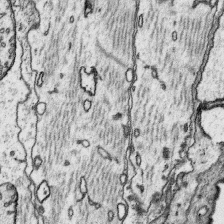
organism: Platynereis dumerilii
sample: Parapodia